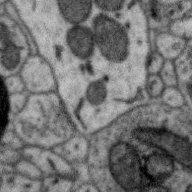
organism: Zebra finch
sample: Brain